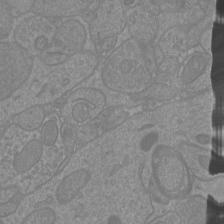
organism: Mouse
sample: Cortical neurons